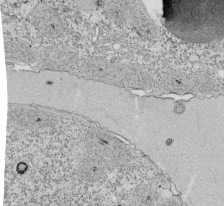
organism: Tetrahymena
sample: Cilia in tetrahymena